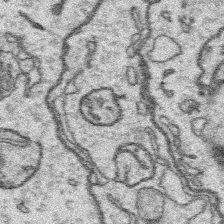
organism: Platynereis dumerilii